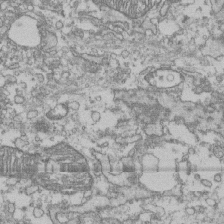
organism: Human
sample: Fibroblast cells